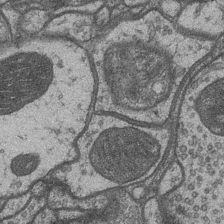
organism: Drosophila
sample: Optic medulla